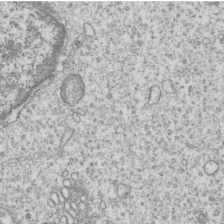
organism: Human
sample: MDA-MB-231 cells